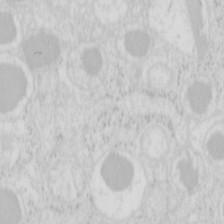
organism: Mouse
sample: Pancreas